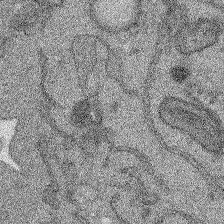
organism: Human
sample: HeLa cells